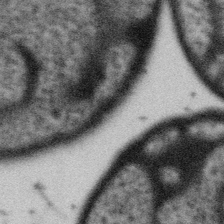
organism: Gemmata obscuriglobus